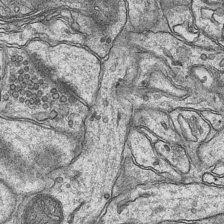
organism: Mouse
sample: CA1 Hippocampus